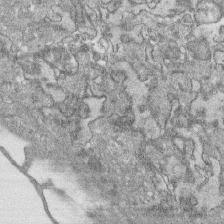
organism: Human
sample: CRL-1474